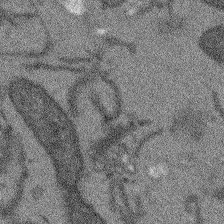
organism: Arabidopsis thaliana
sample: Root tip